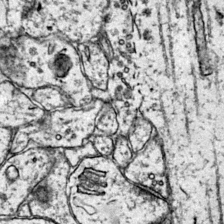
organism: Mouse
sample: Primary visual cortex